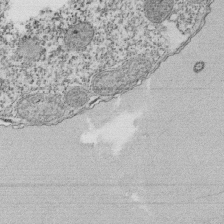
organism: Tetrahymena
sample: Cilia in tetrahymena